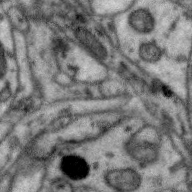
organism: Zebra finch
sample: Brain